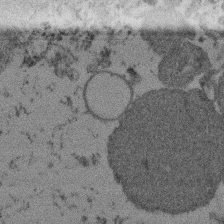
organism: Mouse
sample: Dividing mouse embryo 1 cell stage